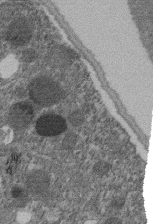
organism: C. elegans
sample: C. elegans embryo early stage